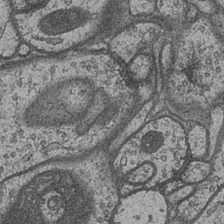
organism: Drosophila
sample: Optic medulla